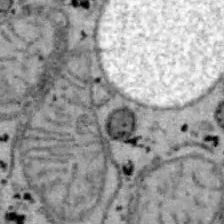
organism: Mouse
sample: Liver from an obese (ob/ob) mouse